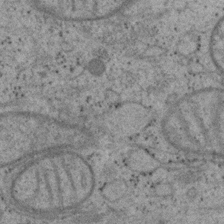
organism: Human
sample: HeLa cells